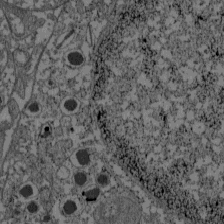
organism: C57BL Mouse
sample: Pancreatic islet